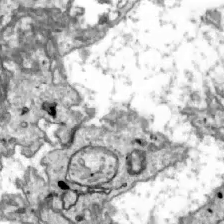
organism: Zebrafish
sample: Actinotrichia fibers